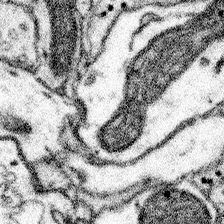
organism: Mouse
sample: Somatosensory cortex neuropil